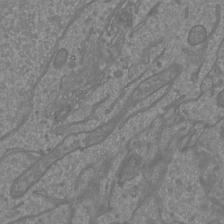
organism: Mouse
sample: Cortical neurons